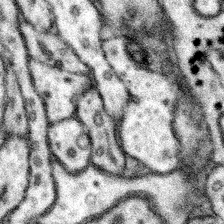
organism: Mouse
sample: Somatosensory cortex neuropil